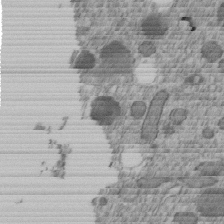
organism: C. elegans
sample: C. elegans embryo early stage